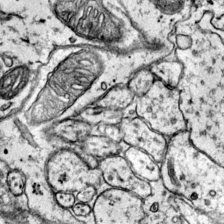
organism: Mouse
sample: Primary visual cortex